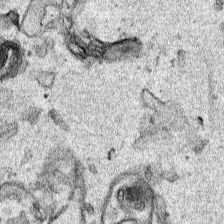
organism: Human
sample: Mitochondria in HCT116 cells